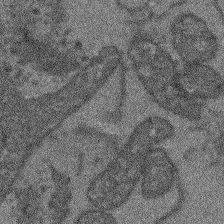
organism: Arabidopsis thaliana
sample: Root tip